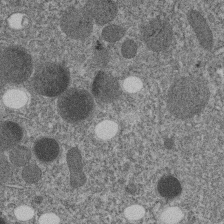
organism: C. elegans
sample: C. elegans embryo early stage